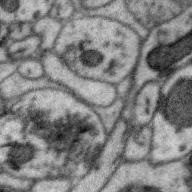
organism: Zebra finch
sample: Brain